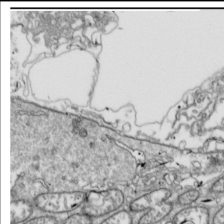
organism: Drosophila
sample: Cell division; meiosis; drosophila spermatocytes